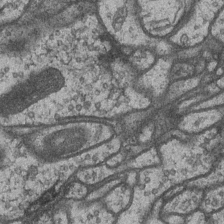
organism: Drosophila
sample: Optic medulla